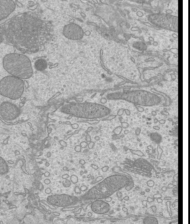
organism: Mouse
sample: Cilia; mouse epididymis